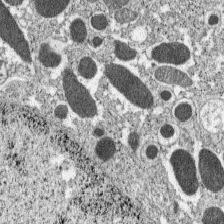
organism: C57BL Mouse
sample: Pancreatic islet